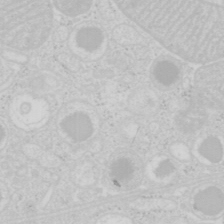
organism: Mouse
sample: Pancreas